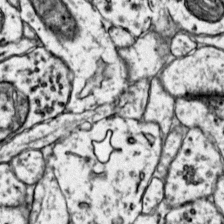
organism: Mouse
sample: Primary visual cortex